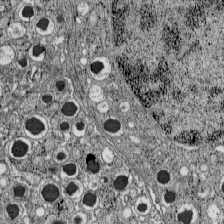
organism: C57BL Mouse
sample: Pancreatic islet